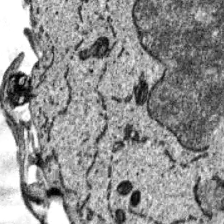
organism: Human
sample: HeLa cells